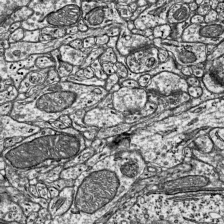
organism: Mouse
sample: Visual Cortex